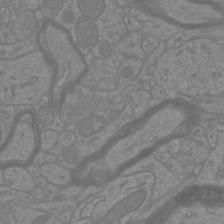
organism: Mouse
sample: Cortical neurons